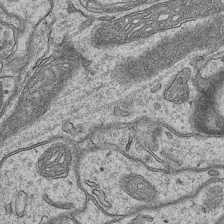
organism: Mouse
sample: CA1 Hippocampus